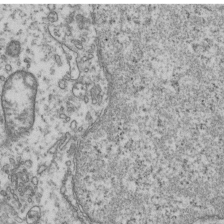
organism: Human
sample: Activated Jurkat CD4+ T cells